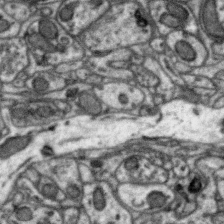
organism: Zebra finch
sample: Brain